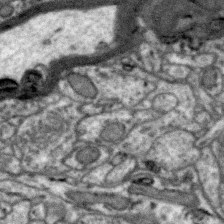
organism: Zebra finch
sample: Brain